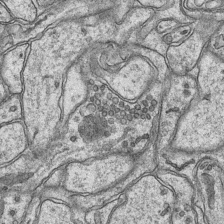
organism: Mouse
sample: CA1 Hippocampus